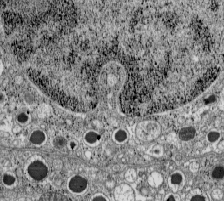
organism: C57BL Mouse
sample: Pancreatic islet